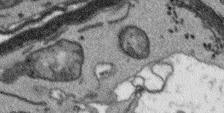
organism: Arabidopsis thaliana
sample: Root tip